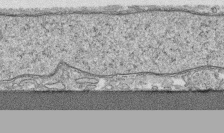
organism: Human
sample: CRL-1474